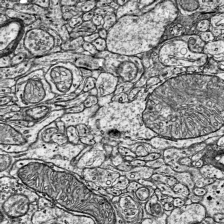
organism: Mouse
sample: Visual Cortex